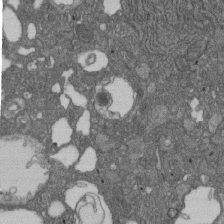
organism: Drosophila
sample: Nephrocyte